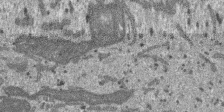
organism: Human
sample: Lung epithelial cells infected with SARS-CoV-2